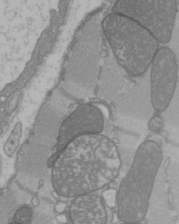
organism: C57BL Mouse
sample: Heart